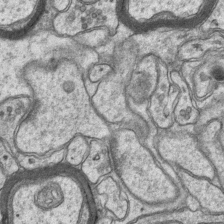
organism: Mouse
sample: CA1 Hippocampus